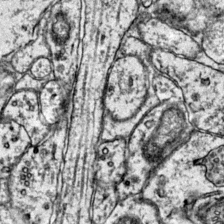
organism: Mouse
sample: Primary visual cortex